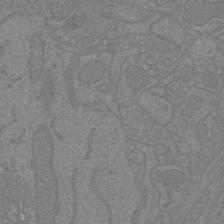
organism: Mouse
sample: Cortical neurons